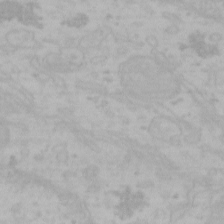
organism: Mouse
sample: Choroid plexus